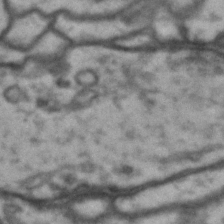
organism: Drosophila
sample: Brain